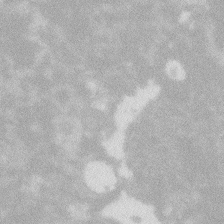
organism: Zebrafish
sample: Macrophage